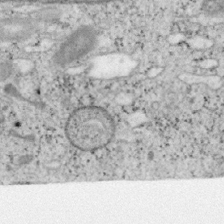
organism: Mouse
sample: OT-I killer T cells with ID8 ovarian cancer cells